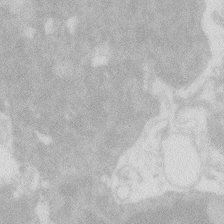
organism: Zebrafish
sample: Macrophage